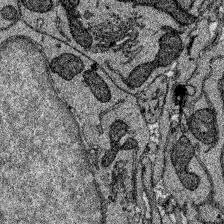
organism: Zebrafish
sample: Larval olfactory bulb